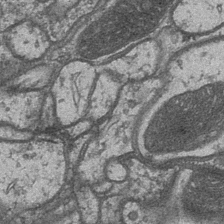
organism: Drosophila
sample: Optic medulla